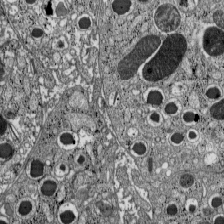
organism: C57BL Mouse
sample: Pancreatic islet